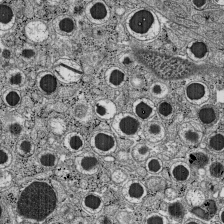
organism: C57BL Mouse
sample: Pancreatic islet